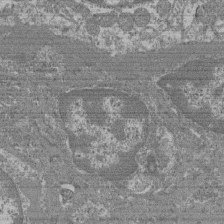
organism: Mouse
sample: Glomerulus